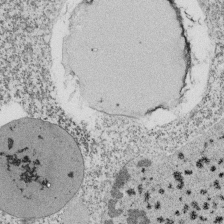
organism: Tetrahymena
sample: Cilia in tetrahymena